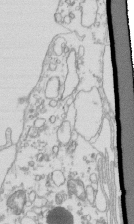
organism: Mouse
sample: Macrophages